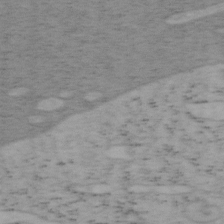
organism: Mouse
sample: OT-I killer T cells with ID8 ovarian cancer cells